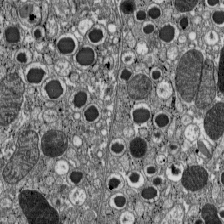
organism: C57BL Mouse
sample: Pancreatic islet